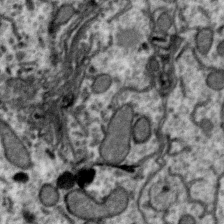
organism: Zebra finch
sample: Brain